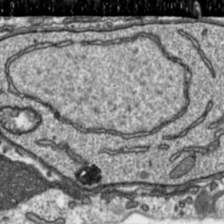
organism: Toxoplasma gondii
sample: Parasites in a vacuole inside a host cell